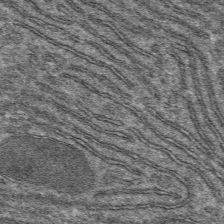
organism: Mouse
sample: Mouse hepatocytes